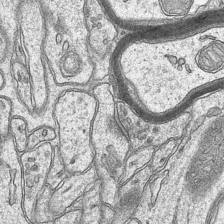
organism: Mouse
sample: CA1 Hippocampus